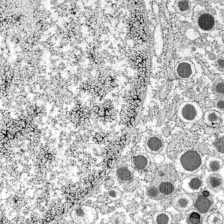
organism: C57BL Mouse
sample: Pancreatic islet